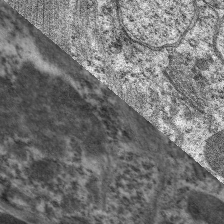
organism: C. elegans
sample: Pharynx